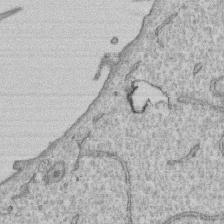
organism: Human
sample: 1205lu cells